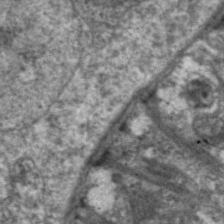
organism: C. elegans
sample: Pharynx